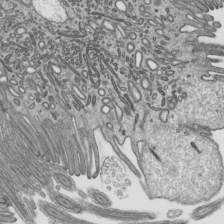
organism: Mouse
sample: Mouse epididymis efferent ductule cilia